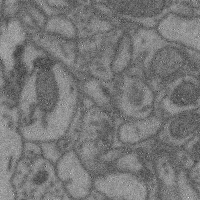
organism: Mouse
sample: Cerebral cortex